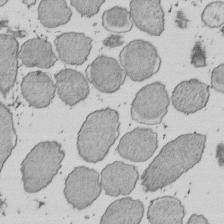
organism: E. coli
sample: Bacterial nucleoid